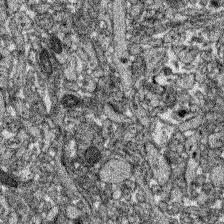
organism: Zebrafish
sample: Larval olfactory bulb